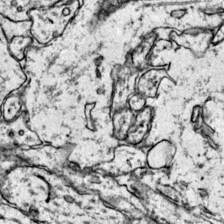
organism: Mouse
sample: Primary visual cortex